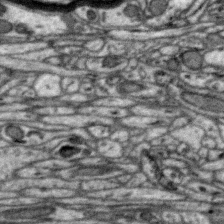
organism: Zebra finch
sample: Brain